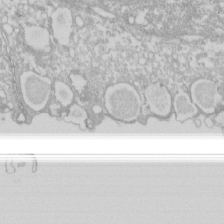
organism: Xenopus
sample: Cilia; centrioles in frog embryo cells